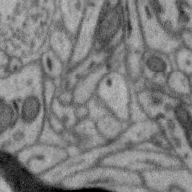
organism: Zebra finch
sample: Brain